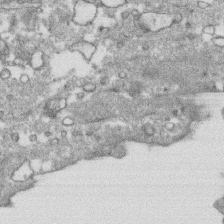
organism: Human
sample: CRL-1474